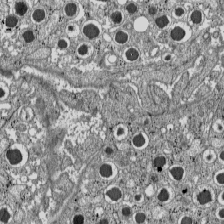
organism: C57BL Mouse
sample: Pancreatic islet